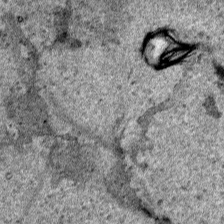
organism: Human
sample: Mitochondria in HCT116 cells